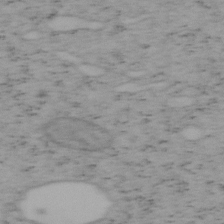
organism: Mouse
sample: OT-I killer T cells with ID8 ovarian cancer cells